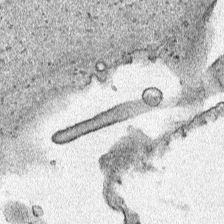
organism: Human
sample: Mitochondria in HCT116 cells